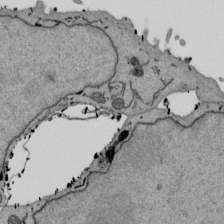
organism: Mouse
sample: ED-1 cell nuclei; centrioles